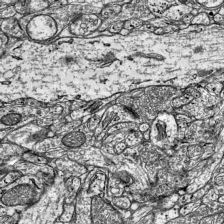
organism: Mouse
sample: Visual Cortex